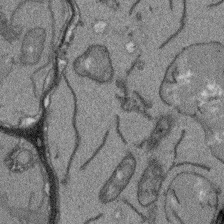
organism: Arabidopsis thaliana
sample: Root tip